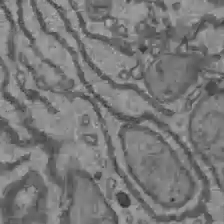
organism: C57BL Mouse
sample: Liver